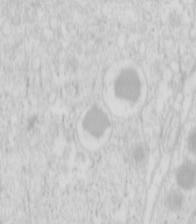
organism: Mouse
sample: Pancreas